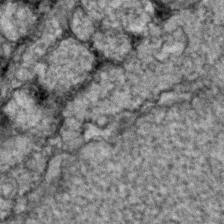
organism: Zebrafish